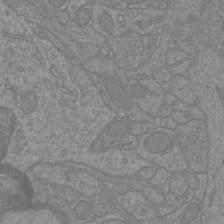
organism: Mouse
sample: Cortical neurons